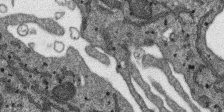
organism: Human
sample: Lung epithelial cells infected with SARS-CoV-2